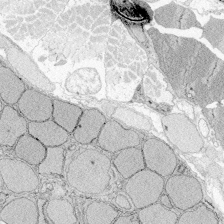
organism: Zebrafish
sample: Whole-Brain